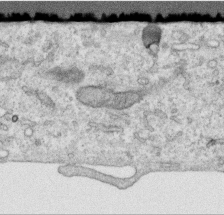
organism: Human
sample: Centriole in RPE cells